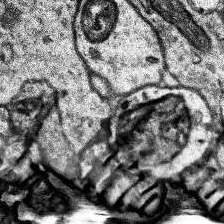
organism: Human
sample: Temporal Lobe